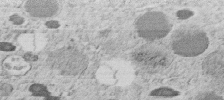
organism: C. elegans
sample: C. elegans embryo early stage